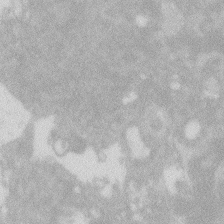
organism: Zebrafish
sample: Macrophage